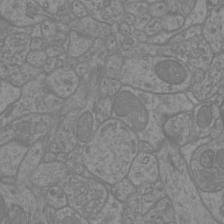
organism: Mouse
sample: Cortical neurons